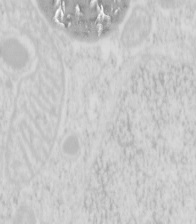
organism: Mouse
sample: Pancreas